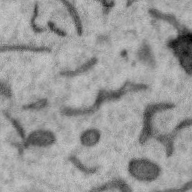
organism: Zebra finch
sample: Brain